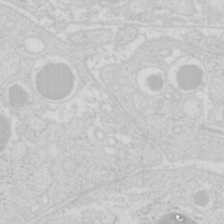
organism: Mouse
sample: Pancreas